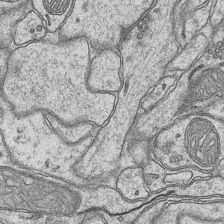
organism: Mouse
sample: CA1 Hippocampus